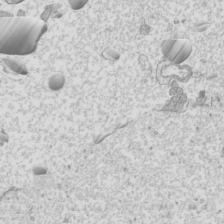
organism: Mouse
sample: Cilia; mouse epididymis